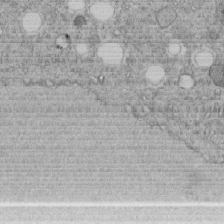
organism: C. elegans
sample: C. elegans embryo early stage